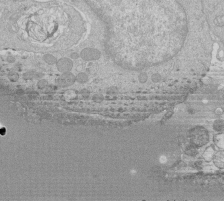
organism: Human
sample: Macrophage cells